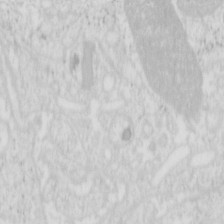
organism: Mouse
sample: Pancreas